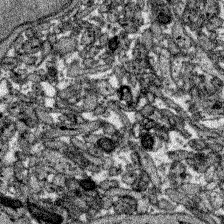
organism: Zebrafish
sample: Larval olfactory bulb